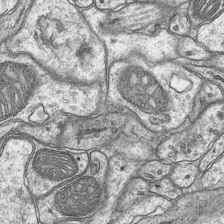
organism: Mouse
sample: CA1 Hippocampus